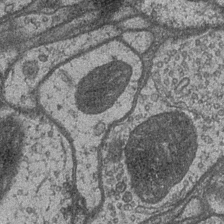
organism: Drosophila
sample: Optic medulla